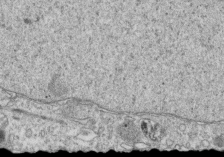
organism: Human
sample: HeLa cell HIV synapse